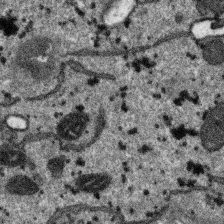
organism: Human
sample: Lung epithelial cells infected with SARS-CoV-2